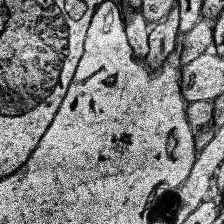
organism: Human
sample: Temporal Lobe